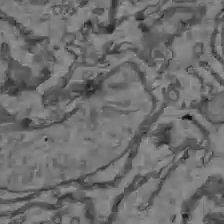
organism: C57BL Mouse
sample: Liver